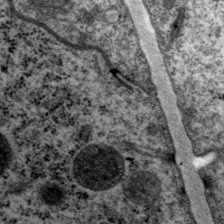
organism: P. pacificus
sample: Pharynx